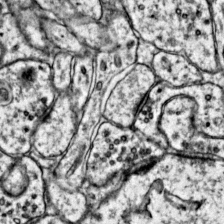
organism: Mouse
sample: Primary visual cortex